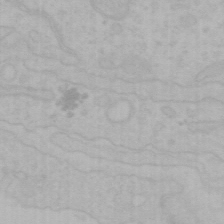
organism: Mouse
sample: Choroid plexus